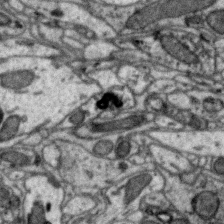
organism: Zebra finch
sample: Brain